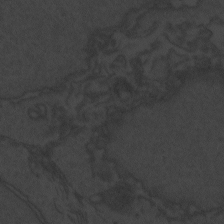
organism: Zebrafish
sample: Macrophage infected with Toxoplasma gondii